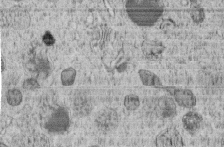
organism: C. elegans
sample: C. elegans embryo early stage